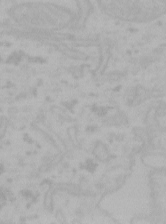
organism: Mouse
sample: Choroid plexus